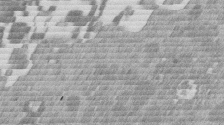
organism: Mouse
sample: Dividing mouse embryo 1 cell stage